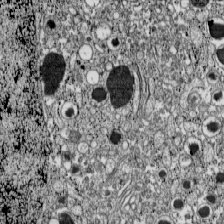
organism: C57BL Mouse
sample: Pancreatic islet